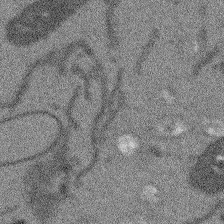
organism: Arabidopsis thaliana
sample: Root tip